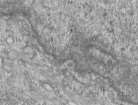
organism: Human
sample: Centriole in RPE cells